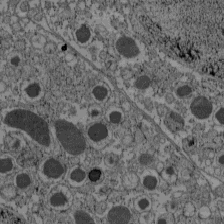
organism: C57BL Mouse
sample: Pancreatic islet